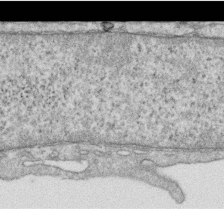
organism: Human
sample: Centriole in RPE cells